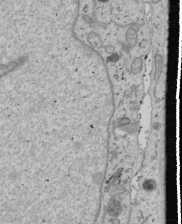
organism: Human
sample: Mitochondria in U2OS cells